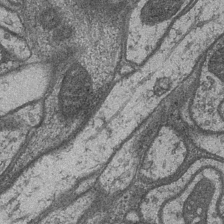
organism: Drosophila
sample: Optic medulla